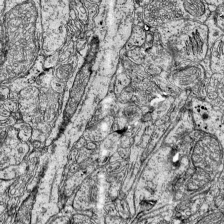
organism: Mouse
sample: Visual Cortex